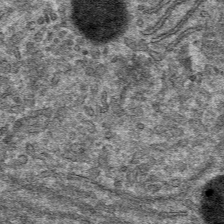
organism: Mouse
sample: Mouse hepatocytes